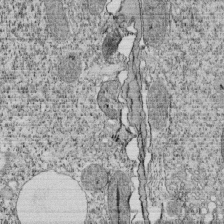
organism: Tetrahymena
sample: Cilia in tetrahymena